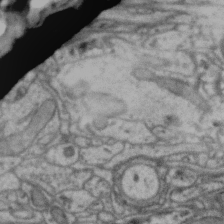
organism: Zebra finch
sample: Brain